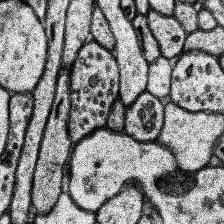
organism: Human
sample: Temporal Lobe